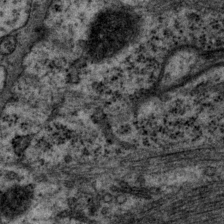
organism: P. pacificus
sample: Pharynx